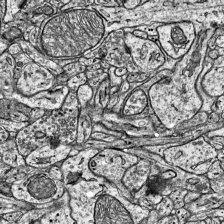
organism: Mouse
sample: Visual Cortex